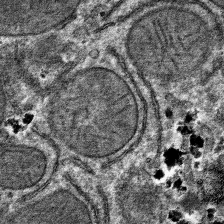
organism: Mouse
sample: Mouse hepatocytes